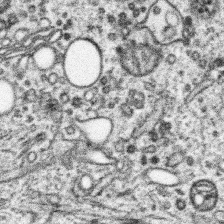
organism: Human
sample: HeLa cells